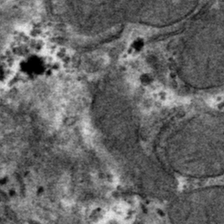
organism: Mouse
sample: Mouse hepatocytes